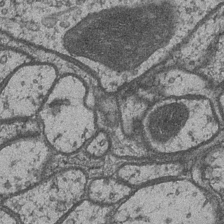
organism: Drosophila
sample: Optic medulla